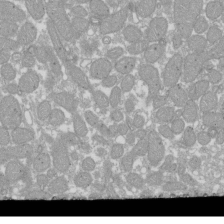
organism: Xenopus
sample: Cilia; centrioles in frog embryo cells